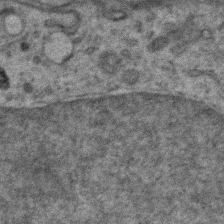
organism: Zebrafish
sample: Zebrafish embryo